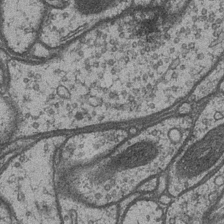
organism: Drosophila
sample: Optic medulla